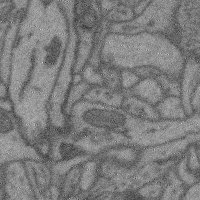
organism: Mouse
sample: Cerebral cortex